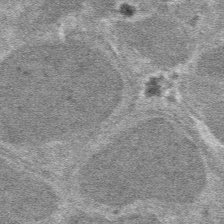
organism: Mouse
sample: Mouse hepatocytes